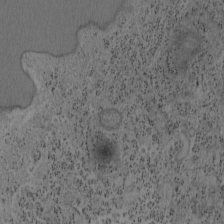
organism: Mouse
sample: OT-I killer T cells with ID8 ovarian cancer cells